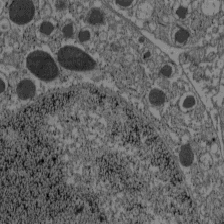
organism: C57BL Mouse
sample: Pancreatic islet